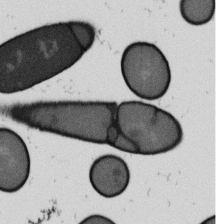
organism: B. subtilis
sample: Bacterial spore